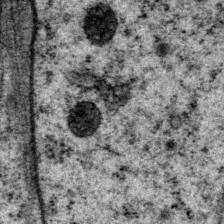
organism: P. pacificus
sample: Pharynx